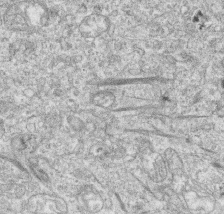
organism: Human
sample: HeLa cell HIV synapse